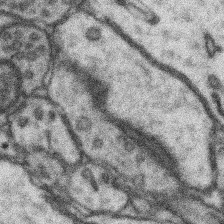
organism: Mouse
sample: Somatosensory cortex neuropil